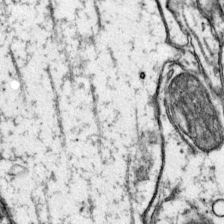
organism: Mouse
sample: Primary visual cortex